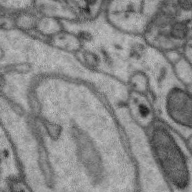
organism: Zebra finch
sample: Brain